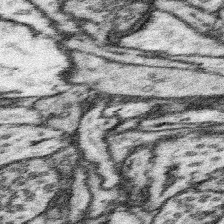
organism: Mouse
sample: Somatosensory cortex neuropil